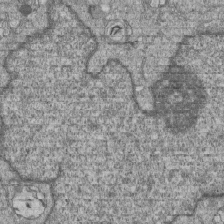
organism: Human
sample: MDA-MB-231 cells